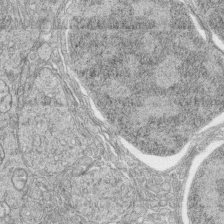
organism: Zebrafish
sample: synaptic ribbons in rod cells and cone cells